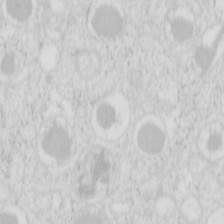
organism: Mouse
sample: Pancreas